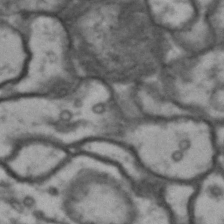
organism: Drosophila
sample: Brain